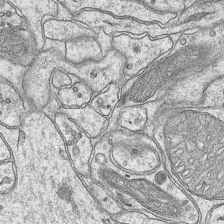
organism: Mouse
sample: CA1 Hippocampus